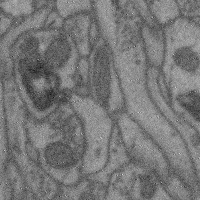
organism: Mouse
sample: Cerebral cortex